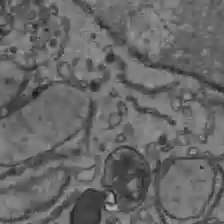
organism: C57BL Mouse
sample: Liver